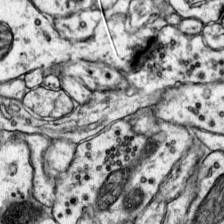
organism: Mouse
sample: Primary visual cortex